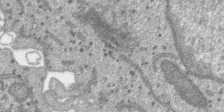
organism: Human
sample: Lung epithelial cells infected with SARS-CoV-2